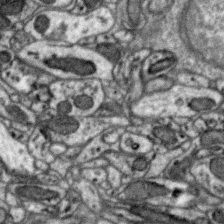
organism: Zebra finch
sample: Brain